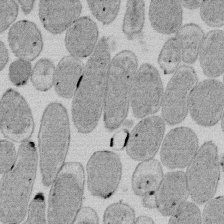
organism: E. coli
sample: Bacterial nucleoid